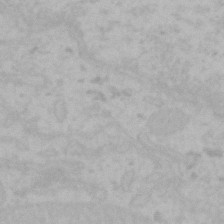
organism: Mouse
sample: Choroid plexus